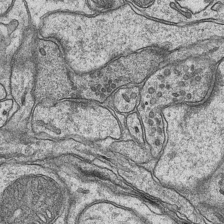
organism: Mouse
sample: CA1 Hippocampus